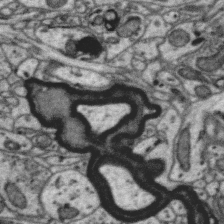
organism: Zebra finch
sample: Brain